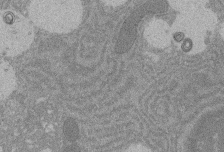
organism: Rat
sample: Salivary granule